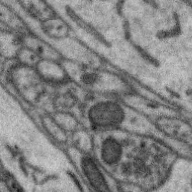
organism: Zebra finch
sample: Brain